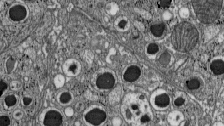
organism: C57BL Mouse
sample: Pancreatic islet